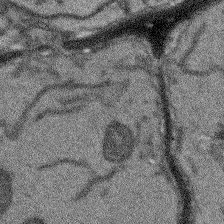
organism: Arabidopsis thaliana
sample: Root tip